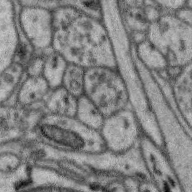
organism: Zebra finch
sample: Brain